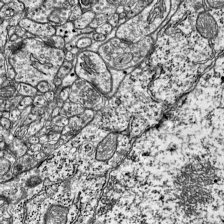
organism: Mouse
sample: Visual Cortex